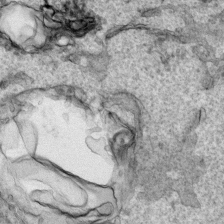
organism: Human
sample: Mitochondria in HCT116 cells